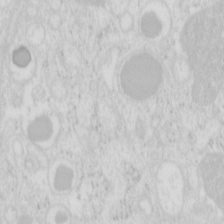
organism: Mouse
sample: Pancreas